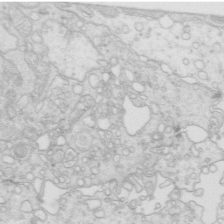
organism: Mouse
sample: Multiciliated cells